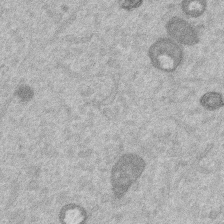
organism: Mouse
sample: Dividing mouse embryo 1 cell stage